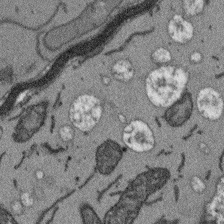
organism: Arabidopsis thaliana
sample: Root tip